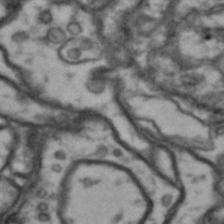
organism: Drosophila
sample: Brain